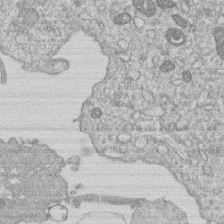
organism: Human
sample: Macrophage cells